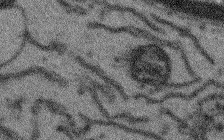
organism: Arabidopsis thaliana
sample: Root tip